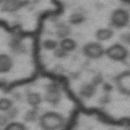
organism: Drosophila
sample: Brain